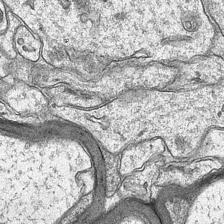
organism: Mouse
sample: CA1 Hippocampus